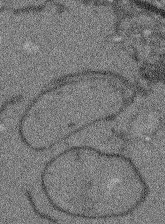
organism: Arabidopsis thaliana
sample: Root tip